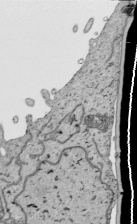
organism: Human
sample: Mitochondria in HCT116 cells